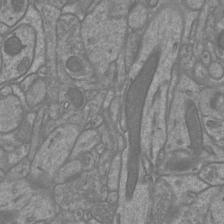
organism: Mouse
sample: Cortical neurons